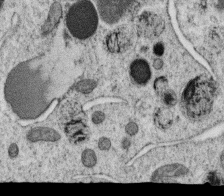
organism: C. elegans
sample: C. elegans oocyte; sperm cells